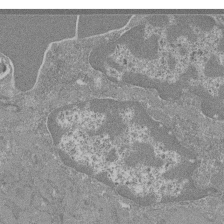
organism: Mouse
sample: Glomerulus